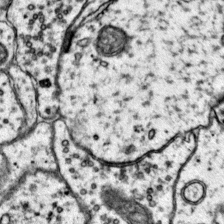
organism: Mouse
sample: Primary visual cortex